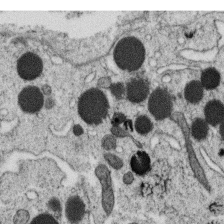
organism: C. elegans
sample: C. elegans oocyte; sperm cells